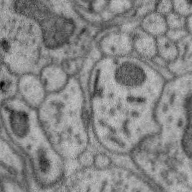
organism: Zebra finch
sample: Brain